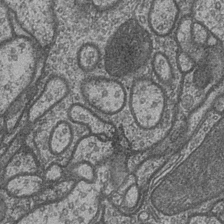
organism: Drosophila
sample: Optic medulla